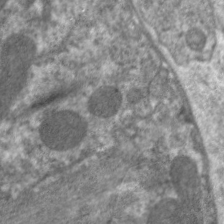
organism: C. elegans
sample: Pharynx